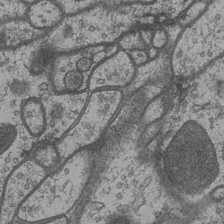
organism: Drosophila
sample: Optic medulla